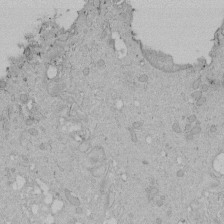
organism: Human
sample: Melanocyte Keratinocyte synapse skin construct